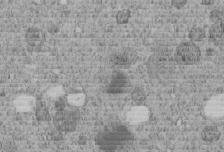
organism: C. elegans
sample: C. elegans embryo early stage